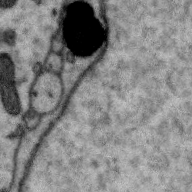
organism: Zebra finch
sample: Brain